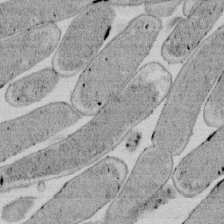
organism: E. coli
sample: Bacterial nucleoid